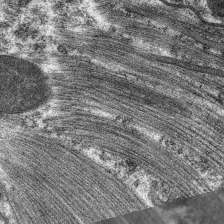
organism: C. elegans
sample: Pharynx